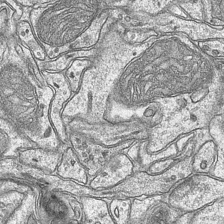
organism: Mouse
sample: CA1 Hippocampus